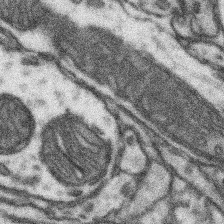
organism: Mouse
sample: Somatosensory cortex neuropil